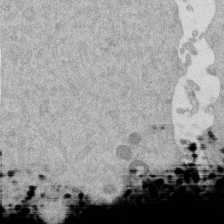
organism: Mouse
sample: Dividing mouse embryo 1 cell stage